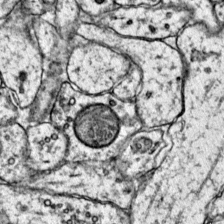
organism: Mouse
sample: Primary visual cortex